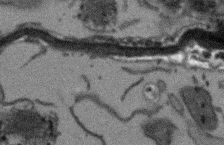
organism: Arabidopsis thaliana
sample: Root tip